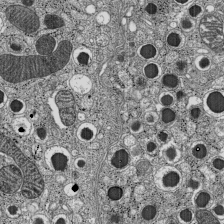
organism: C57BL Mouse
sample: Pancreatic islet